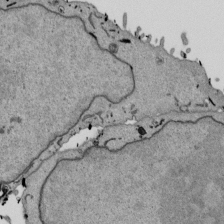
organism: Mouse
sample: ED-1 cell nuclei; centrioles